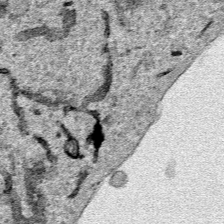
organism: Human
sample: Mitochondria in HCT116 cells